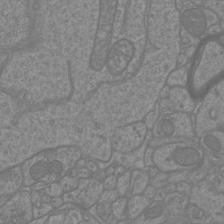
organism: Mouse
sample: Cortical neurons